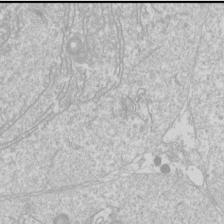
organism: Drosophila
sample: Cell division; meiosis; drosophila spermatocytes